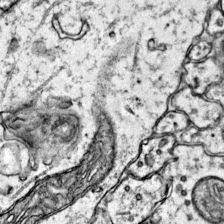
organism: Mouse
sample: Primary visual cortex